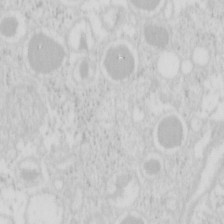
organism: Mouse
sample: Pancreas